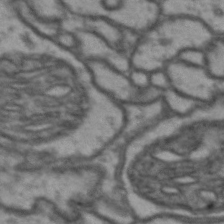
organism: Drosophila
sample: Brain